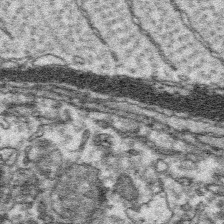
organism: Platynereis dumerilii